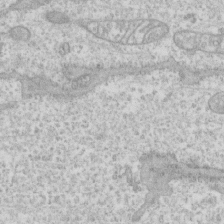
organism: Human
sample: CRL-1474